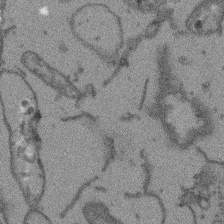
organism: Arabidopsis thaliana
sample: Root tip